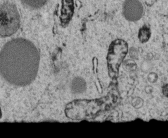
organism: C. elegans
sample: C. elegans embryo early stage